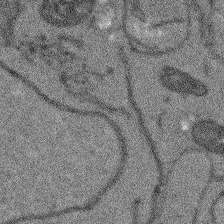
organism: Arabidopsis thaliana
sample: Root tip